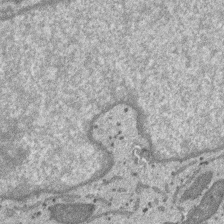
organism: Human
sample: Lung epithelial cells infected with SARS-CoV-2